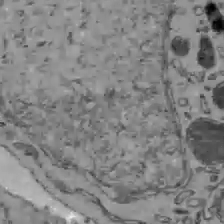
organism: C57BL Mouse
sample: Liver